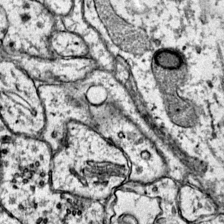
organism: Mouse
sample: Primary visual cortex